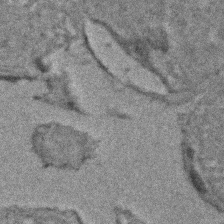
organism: Zebrafish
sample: Zebrafish embryo